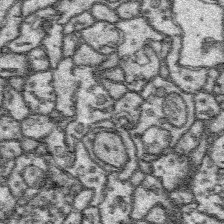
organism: Platynereis dumerilii